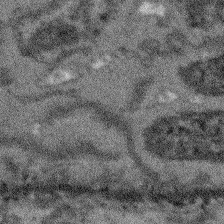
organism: Arabidopsis thaliana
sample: Root tip